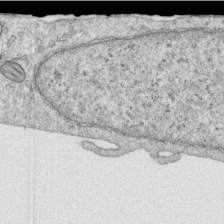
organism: Human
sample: Centriole in RPE cells